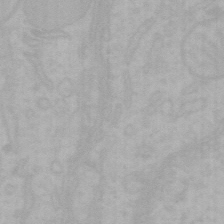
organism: Mouse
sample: Choroid plexus